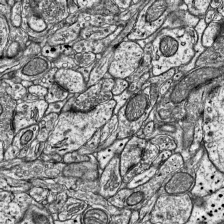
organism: Mouse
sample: Visual Cortex